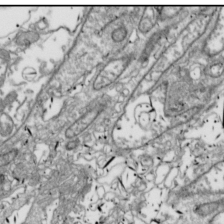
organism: Drosophila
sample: Cell division; meiosis; drosophila spermatocytes